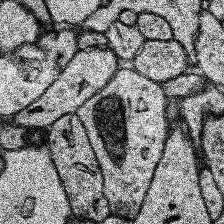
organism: Human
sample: Temporal Lobe